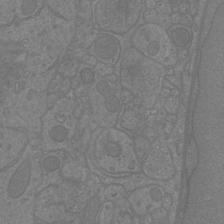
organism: Mouse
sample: Cortical neurons